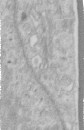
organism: Human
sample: Centriole in RPE cells